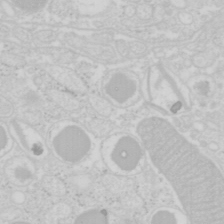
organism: Mouse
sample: Pancreas